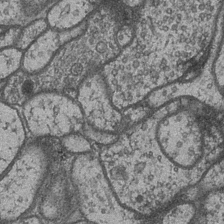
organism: Drosophila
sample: Optic medulla